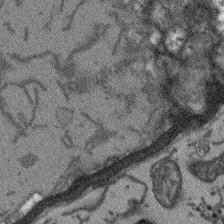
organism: Arabidopsis thaliana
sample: Root tip